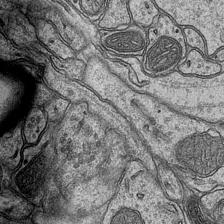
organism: Mouse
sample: CA1 Hippocampus